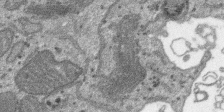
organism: Human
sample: Lung epithelial cells infected with SARS-CoV-2